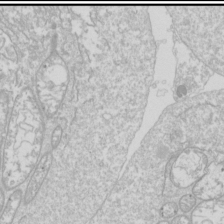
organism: Drosophila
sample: Cell division; meiosis; drosophila spermatocytes